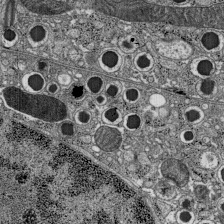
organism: C57BL Mouse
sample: Pancreatic islet